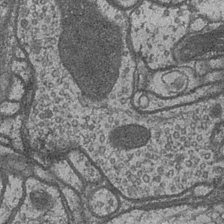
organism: Drosophila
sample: Optic medulla